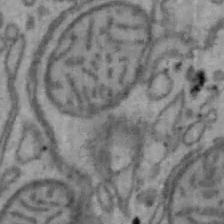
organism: Mouse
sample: Liver